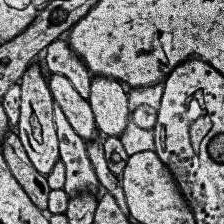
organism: Human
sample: Temporal Lobe